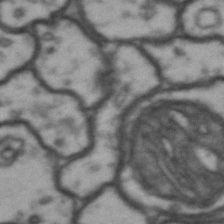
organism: Drosophila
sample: Brain